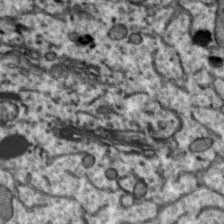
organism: Zebra finch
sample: Brain